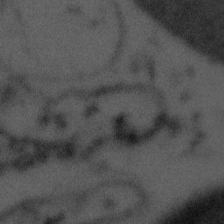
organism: Tuwongella immobilis